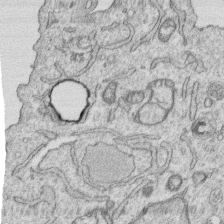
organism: Human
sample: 1205lu cells